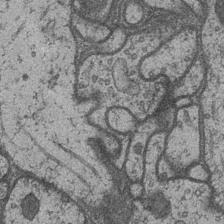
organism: Drosophila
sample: Optic medulla